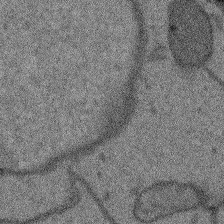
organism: Arabidopsis thaliana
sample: Root tip